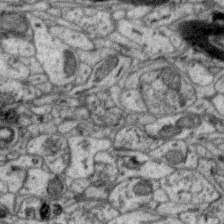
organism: Zebra finch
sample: Brain